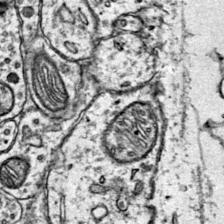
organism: Mouse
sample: Primary visual cortex